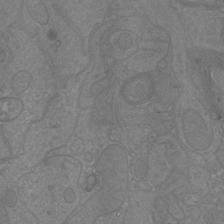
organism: Mouse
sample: Cortical neurons